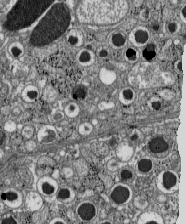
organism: C57BL Mouse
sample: Pancreatic islet